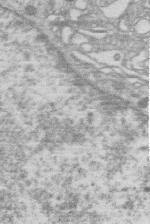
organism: Human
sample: Macrophage cells